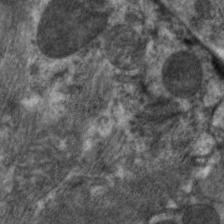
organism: C. elegans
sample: Pharynx